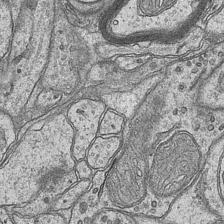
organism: Mouse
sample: CA1 Hippocampus